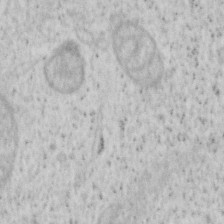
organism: Human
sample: HeLa cells